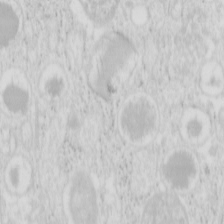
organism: Mouse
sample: Pancreas